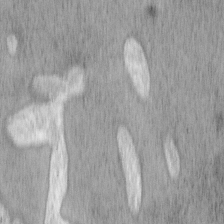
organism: Human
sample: HeLa cells